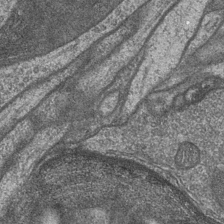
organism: Drosophila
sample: Optic medulla